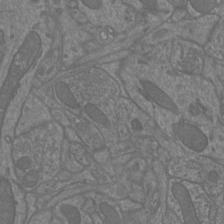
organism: Mouse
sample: Cortical neurons